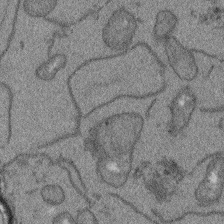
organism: Arabidopsis thaliana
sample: Root tip